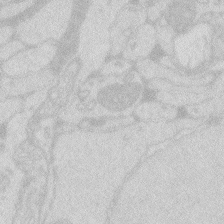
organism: Zebrafish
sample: Macrophage